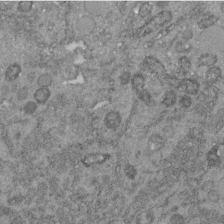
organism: C. elegans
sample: C. elegans embryo early stage